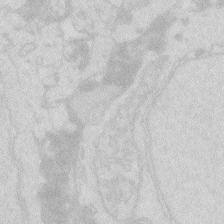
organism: Zebrafish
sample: Macrophage